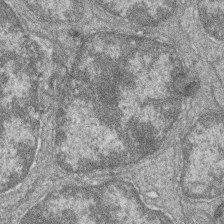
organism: Zebrafish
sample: Cilia; retinal pigment epithelium